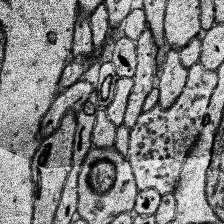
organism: Human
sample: Temporal Lobe